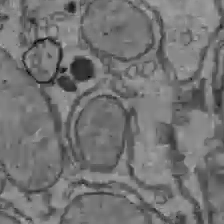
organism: C57BL Mouse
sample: Liver